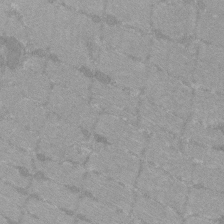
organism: C57BL Mouse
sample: Tibialis anterior muscle cell